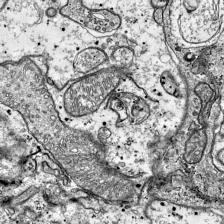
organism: Mouse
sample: Visual Cortex